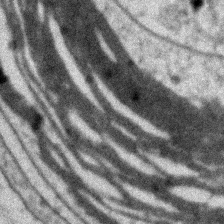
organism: Zebrafish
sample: Zebrafish embryo